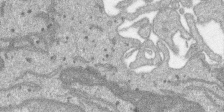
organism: Human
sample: Lung epithelial cells infected with SARS-CoV-2